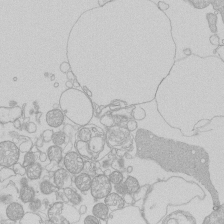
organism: Human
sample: Macrophage cells